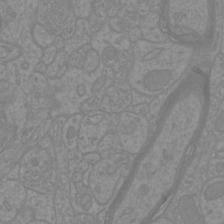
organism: Mouse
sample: Cortical neurons